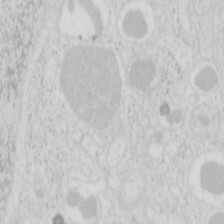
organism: Mouse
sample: Pancreas